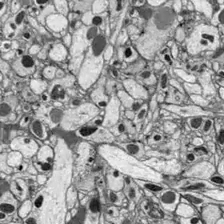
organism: Drosophila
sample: Optic lobe